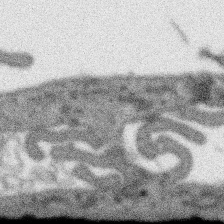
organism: Human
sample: Lung epithelial cells infected with SARS-CoV-2